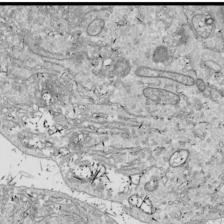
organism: Drosophila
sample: Cell division; meiosis; drosophila spermatocytes